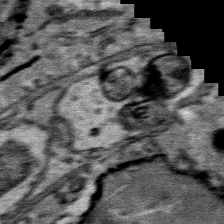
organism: Mouse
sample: Mouse Salivary gland